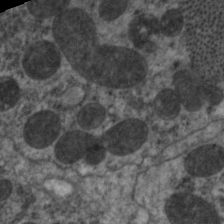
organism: C. elegans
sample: Pharynx